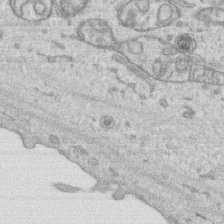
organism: Human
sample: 1205lu cells